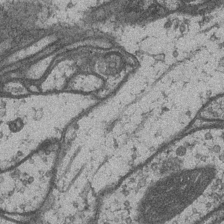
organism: Drosophila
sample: Optic medulla